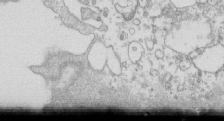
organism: Mouse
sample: Macrophages